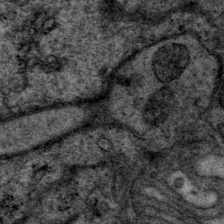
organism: P. pacificus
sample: Pharynx